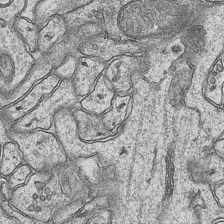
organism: Mouse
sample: CA1 Hippocampus